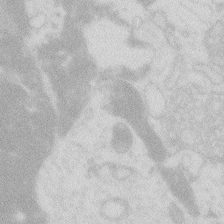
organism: Zebrafish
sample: Macrophage